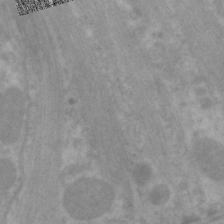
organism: C. elegans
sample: Pharynx